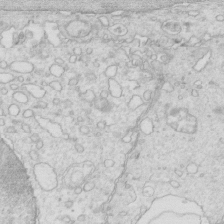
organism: Mouse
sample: Multiciliated cells